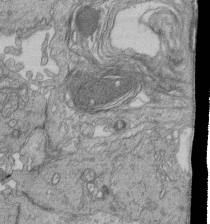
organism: Human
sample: Retinal organoid Rod and Cone cells